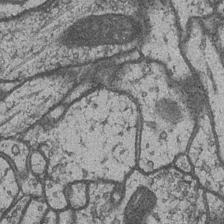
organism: Drosophila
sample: Optic medulla